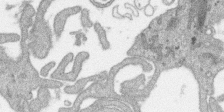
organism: Human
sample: Lung epithelial cells infected with SARS-CoV-2